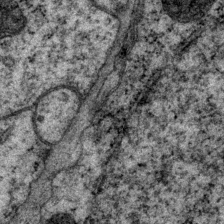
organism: P. pacificus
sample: Pharynx